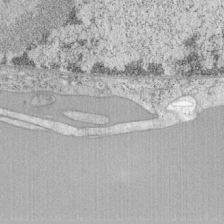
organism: Human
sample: HeLa cells